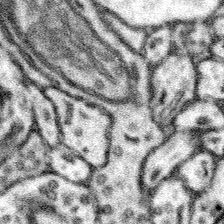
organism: Mouse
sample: Somatosensory cortex neuropil